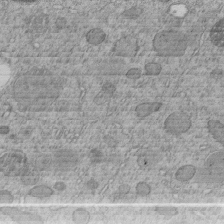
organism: C. elegans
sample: C. elegans embryo early stage